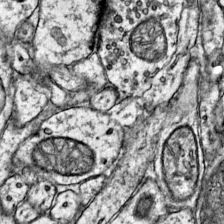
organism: Mouse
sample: Primary visual cortex